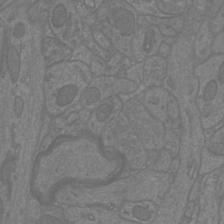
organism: Mouse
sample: Cortical neurons